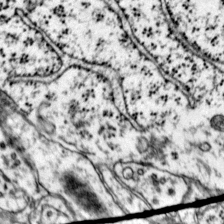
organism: Mouse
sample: Primary visual cortex